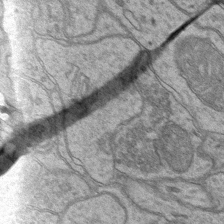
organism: Mouse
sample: CA1 Hippocampus